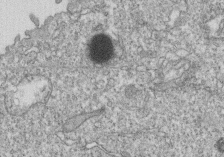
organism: Human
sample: HeLa cell HIV synapse